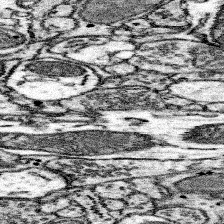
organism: Mouse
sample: Somatosensory cortex neuropil